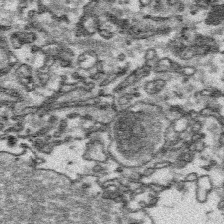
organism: Platynereis dumerilii